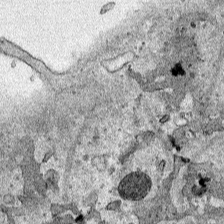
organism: Human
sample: Mitochondria in HCT116 cells